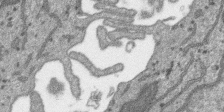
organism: Human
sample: Lung epithelial cells infected with SARS-CoV-2